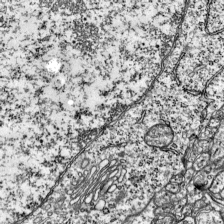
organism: Mouse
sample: Visual Cortex